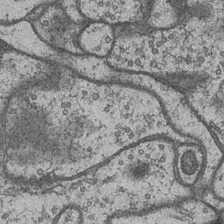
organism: Drosophila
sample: Optic medulla